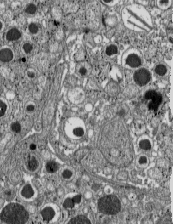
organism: C57BL Mouse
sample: Pancreatic islet